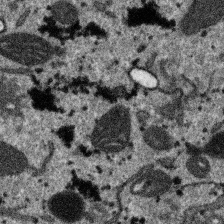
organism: Human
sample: Lung epithelial cells infected with SARS-CoV-2